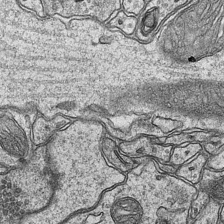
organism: Mouse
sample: CA1 Hippocampus